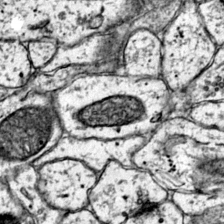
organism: Mouse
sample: Primary visual cortex